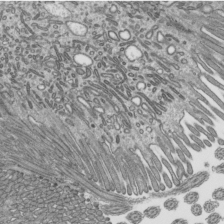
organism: Mouse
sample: Mouse epididymis efferent ductule cilia